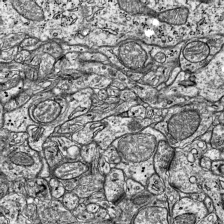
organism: Mouse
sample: Visual Cortex